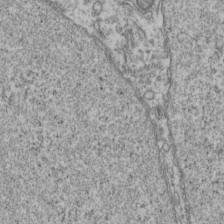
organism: Human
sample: Activated Jurkat CD4+ T cells